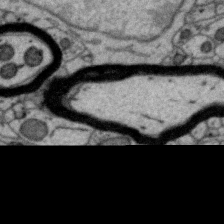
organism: Zebra finch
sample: Brain